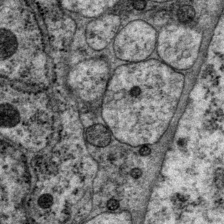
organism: P. pacificus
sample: Pharynx